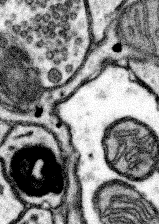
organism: Mouse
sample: Somatosensory cortex neuropil